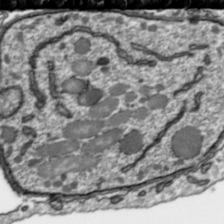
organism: Toxoplasma gondii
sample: Parasites in a vacuole inside a host cell